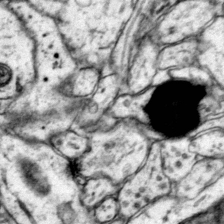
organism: Mouse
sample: Primary visual cortex